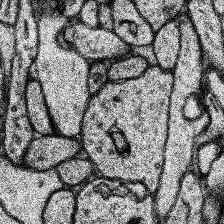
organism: Human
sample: Temporal Lobe